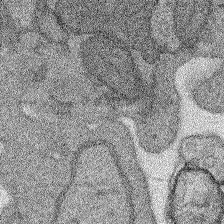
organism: Human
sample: HeLa cells